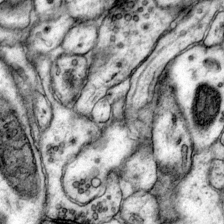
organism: Mouse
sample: Primary visual cortex